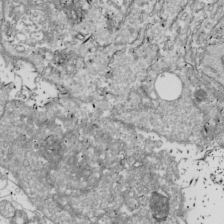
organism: Drosophila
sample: Cell division; meiosis; drosophila spermatocytes